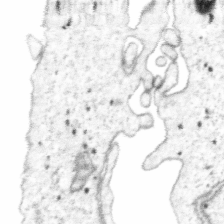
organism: Human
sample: HeLa cells